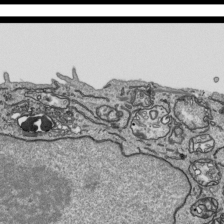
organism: Human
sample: Mitochondria in HCT116 cells